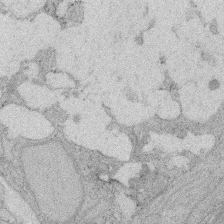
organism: Rat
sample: Salivary granule